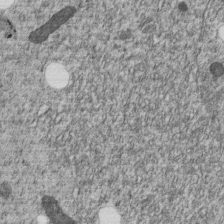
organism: C. elegans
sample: C. elegans embryo early stage